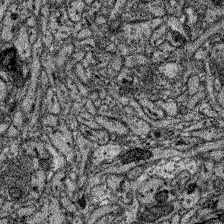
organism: Zebrafish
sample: Larval olfactory bulb